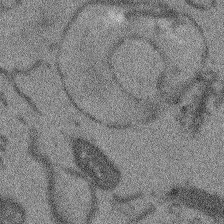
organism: Arabidopsis thaliana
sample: Root tip